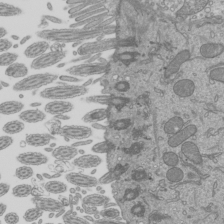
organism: Mouse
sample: Cilia; mouse epididymis